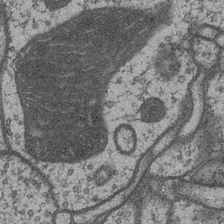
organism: Drosophila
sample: Optic medulla